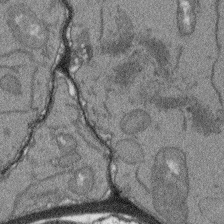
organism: Arabidopsis thaliana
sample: Root tip